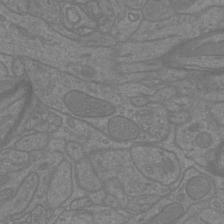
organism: Mouse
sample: Cortical neurons